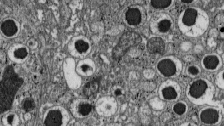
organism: C57BL Mouse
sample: Pancreatic islet